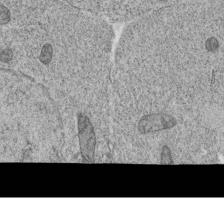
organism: C. elegans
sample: C. elegans oocyte; sperm cells